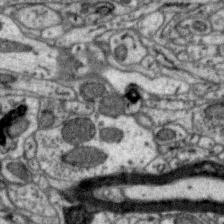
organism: Zebra finch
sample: Brain